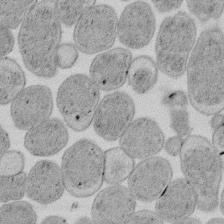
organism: E. coli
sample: Bacterial nucleoid